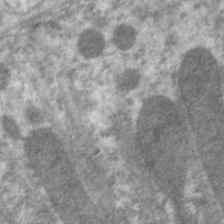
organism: C. elegans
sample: Pharynx